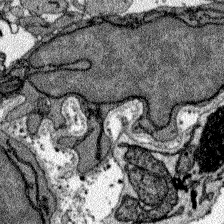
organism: Zebrafish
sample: Larval olfactory bulb